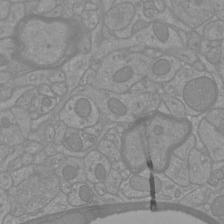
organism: Mouse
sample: Cortical neurons